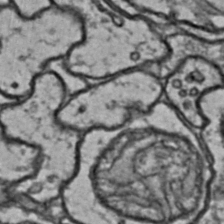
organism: Drosophila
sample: Brain